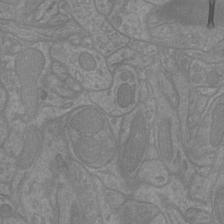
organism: Mouse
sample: Cortical neurons